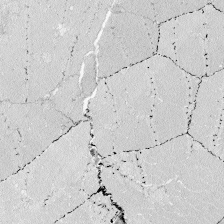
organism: Zebrafish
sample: Whole-Brain